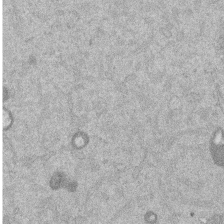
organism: Mouse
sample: Dividing mouse embryo 1 cell stage